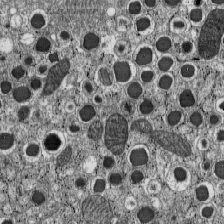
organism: C57BL Mouse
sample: Pancreatic islet